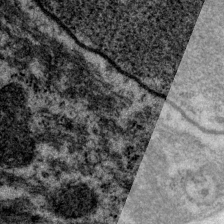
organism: P. pacificus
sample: Pharynx